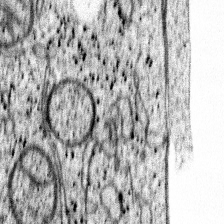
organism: Human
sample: HeLa cells